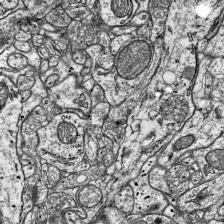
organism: Mouse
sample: Visual Cortex